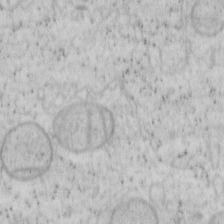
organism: Human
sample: HeLa cells